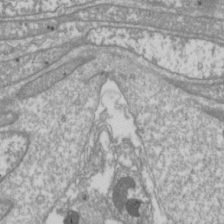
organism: Drosophila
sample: Cell division; meiosis; drosophila spermatocytes